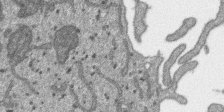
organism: Human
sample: Lung epithelial cells infected with SARS-CoV-2